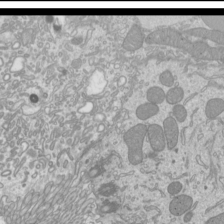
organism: Mouse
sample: Cilia; mouse epididymis